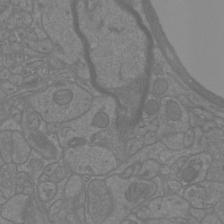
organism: Mouse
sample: Cortical neurons